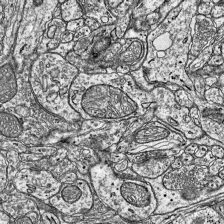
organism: Mouse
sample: Visual Cortex